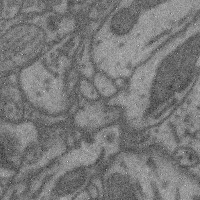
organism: Mouse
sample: Cerebral cortex